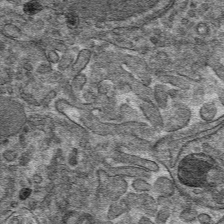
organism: Mouse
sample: Mouse hepatocytes